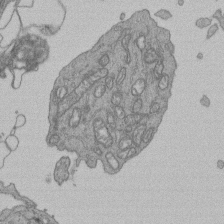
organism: Human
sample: Retinal organoid Rod and Cone cells